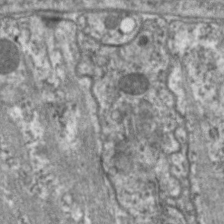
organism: C. elegans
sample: Pharynx